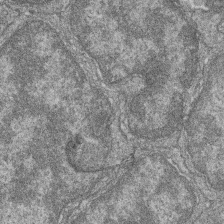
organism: Zebrafish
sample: Cilia; retinal pigment epithelium